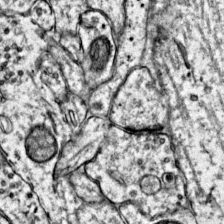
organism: Mouse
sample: Primary visual cortex